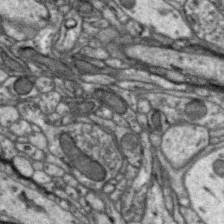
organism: Zebra finch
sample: Brain